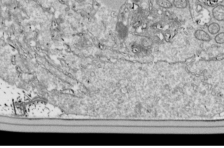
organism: Drosophila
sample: Cell division; meiosis; drosophila spermatocytes